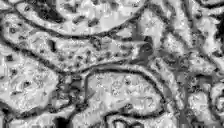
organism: Zebrafish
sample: Brain